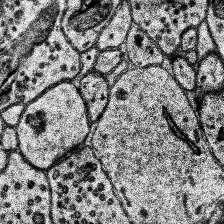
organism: Human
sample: Temporal Lobe